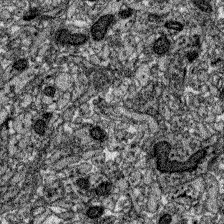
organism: Zebrafish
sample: Larval olfactory bulb